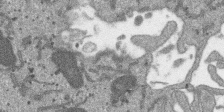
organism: Human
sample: Lung epithelial cells infected with SARS-CoV-2